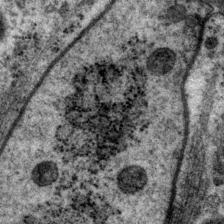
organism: P. pacificus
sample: Pharynx